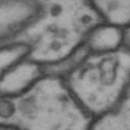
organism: Drosophila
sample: Brain